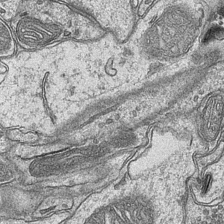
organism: Mouse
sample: CA1 Hippocampus